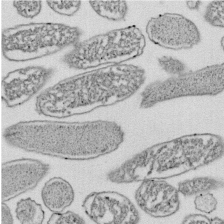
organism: E. coli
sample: Bacterial nucleoid